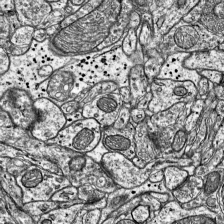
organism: Mouse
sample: Visual Cortex